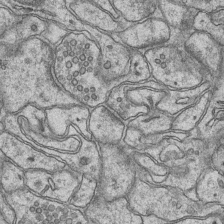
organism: Mouse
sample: CA1 Hippocampus